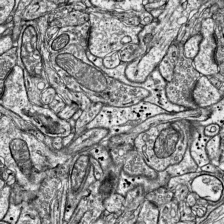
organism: Mouse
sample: Visual Cortex